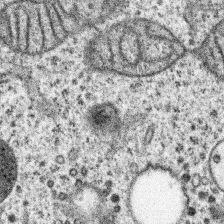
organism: Human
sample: HeLa cells